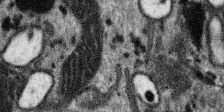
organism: Human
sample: Lung epithelial cells infected with SARS-CoV-2